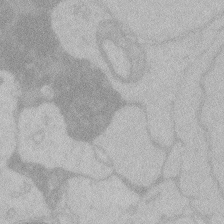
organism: Zebrafish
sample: Macrophage infected with Toxoplasma gondii